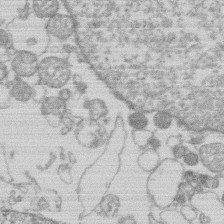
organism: Human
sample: Macrophage cells